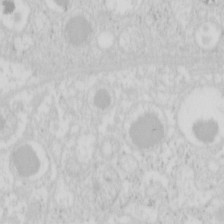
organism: Mouse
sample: Pancreas